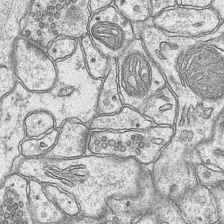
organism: Mouse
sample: CA1 Hippocampus